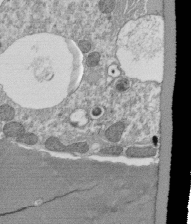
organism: Tetrahymena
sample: Cilia in tetrahymena